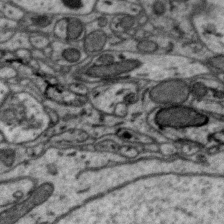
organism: Zebra finch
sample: Brain